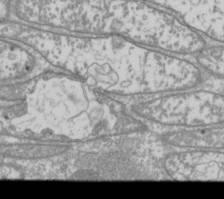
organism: Drosophila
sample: Cell division; meiosis; drosophila spermatocytes